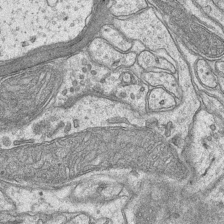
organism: Mouse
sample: CA1 Hippocampus